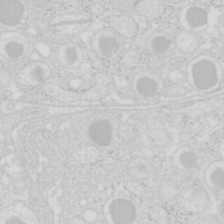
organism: Mouse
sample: Pancreas